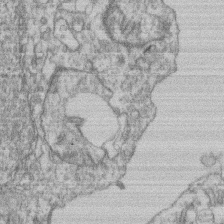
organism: Mouse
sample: T cell stromal cell synapse